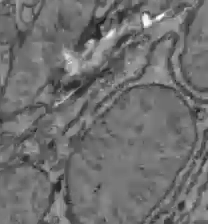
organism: C57BL Mouse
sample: Liver